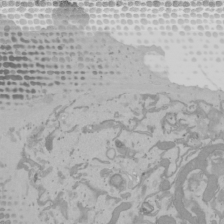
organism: Mouse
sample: Cancer cell death in ED-1 cells